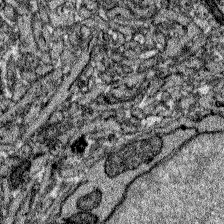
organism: Zebrafish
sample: Larval olfactory bulb